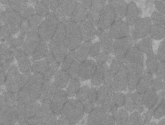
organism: C57BL Mouse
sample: Tibialis anterior muscle cell